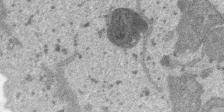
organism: Human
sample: Lung epithelial cells infected with SARS-CoV-2